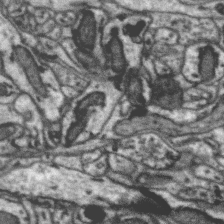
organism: Zebra finch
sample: Brain